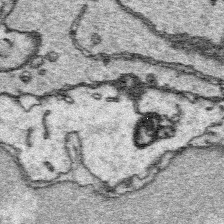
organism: Platynereis dumerilii